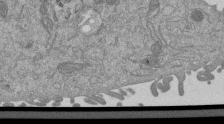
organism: Mouse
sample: ED-1 cell nuclei; centrioles